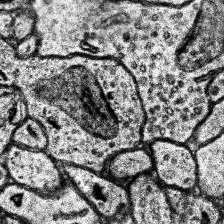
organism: Human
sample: Temporal Lobe